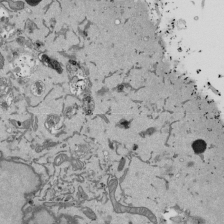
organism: Mouse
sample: ED-1 cell nuclei; centrioles